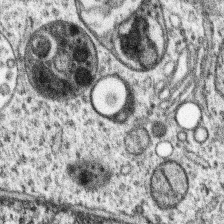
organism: Human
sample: HeLa cells